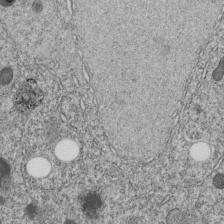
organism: C. elegans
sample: C. elegans embryo early stage